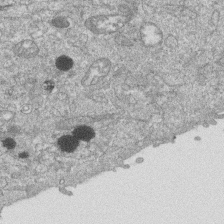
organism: Human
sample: HeLa cell HIV synapse